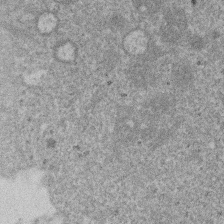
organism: Mouse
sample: Dividing mouse embryo 1 cell stage